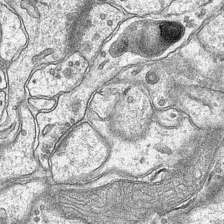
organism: Mouse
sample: CA1 Hippocampus